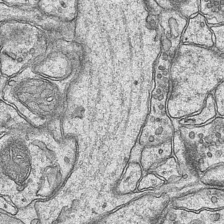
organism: Mouse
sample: CA1 Hippocampus